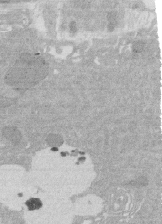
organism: Rat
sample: Salivary granule